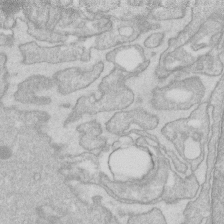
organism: Human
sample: Fibroblast cells